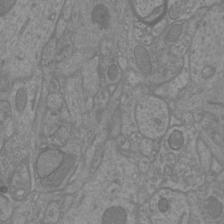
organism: Mouse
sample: Cortical neurons